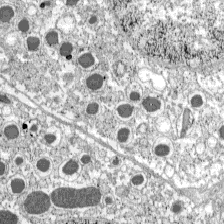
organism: C57BL Mouse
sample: Pancreatic islet